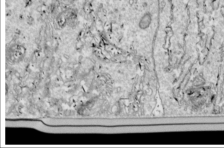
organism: Drosophila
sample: Cell division; meiosis; drosophila spermatocytes